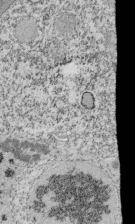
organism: Tetrahymena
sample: Cilia in tetrahymena